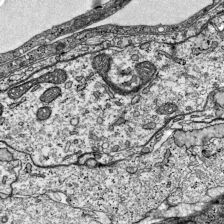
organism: Mouse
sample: Visual Cortex